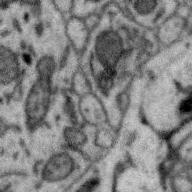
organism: Zebra finch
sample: Brain